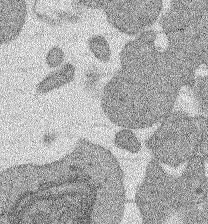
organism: Human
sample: HeLa cells